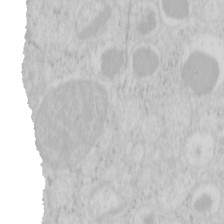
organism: Mouse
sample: Pancreas